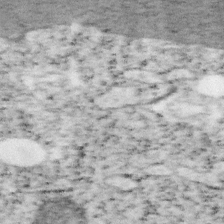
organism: Mouse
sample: OT-I killer T cells with ID8 ovarian cancer cells